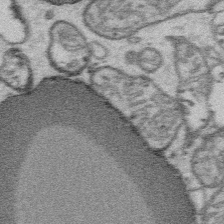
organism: Platynereis dumerilii